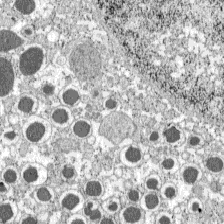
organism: C57BL Mouse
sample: Pancreatic islet